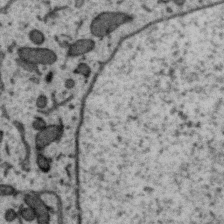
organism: Zebra finch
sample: Brain